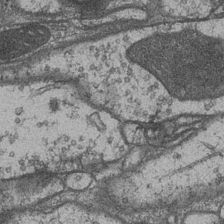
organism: Drosophila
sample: Optic medulla